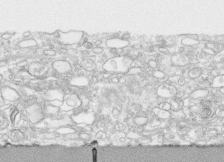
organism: Human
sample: CRL-1474